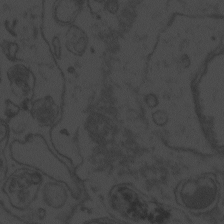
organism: Zebrafish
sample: Macrophage infected with Toxoplasma gondii